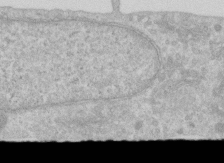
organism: Human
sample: Centriole in RPE cells